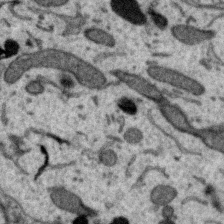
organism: Zebra finch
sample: Brain